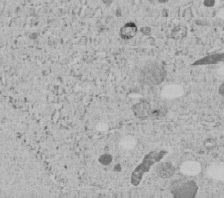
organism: C. elegans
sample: C. elegans embryo early stage